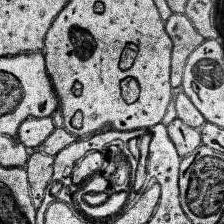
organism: Human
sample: Temporal Lobe